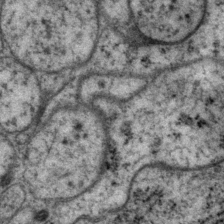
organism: P. pacificus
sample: Pharynx